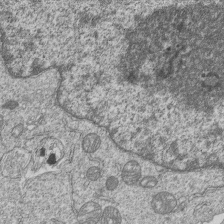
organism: Human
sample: MDA-MB-231 cells